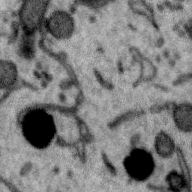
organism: Zebra finch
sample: Brain